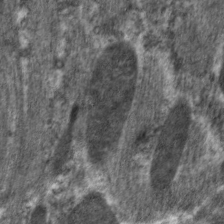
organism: C. elegans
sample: Pharynx